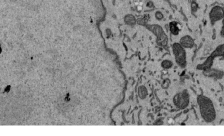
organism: Mouse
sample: ED-1 cell nuclei; centrioles